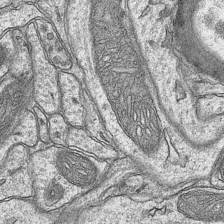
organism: Mouse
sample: CA1 Hippocampus